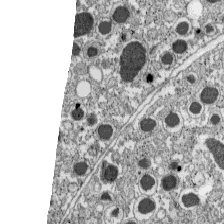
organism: C57BL Mouse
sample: Pancreatic islet